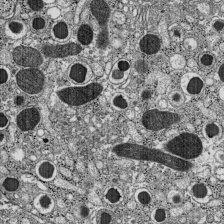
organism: C57BL Mouse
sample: Pancreatic islet